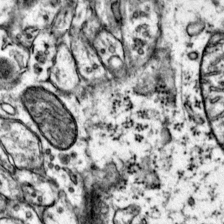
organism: Mouse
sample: Primary visual cortex